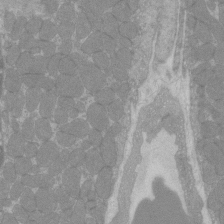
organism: C57BL Mouse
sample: Tibialis anterior muscle cell